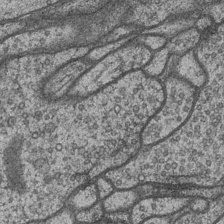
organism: Drosophila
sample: Optic medulla